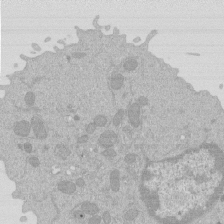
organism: Mouse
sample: Activated Pmel transgenic CD8+ T Cells